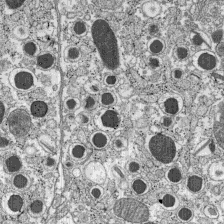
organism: C57BL Mouse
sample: Pancreatic islet